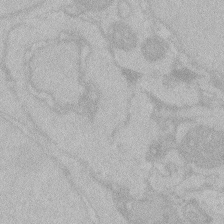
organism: Zebrafish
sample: Macrophage infected with Toxoplasma gondii